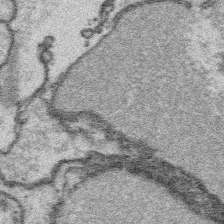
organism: Platynereis dumerilii